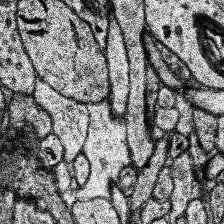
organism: Human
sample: Temporal Lobe